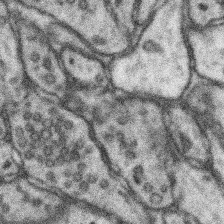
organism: Mouse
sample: Somatosensory cortex neuropil